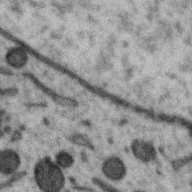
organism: Zebra finch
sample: Brain